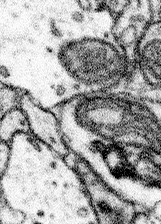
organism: Mouse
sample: Somatosensory cortex neuropil